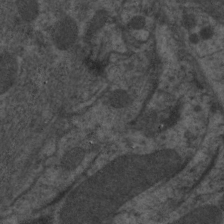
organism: C. elegans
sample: Pharynx